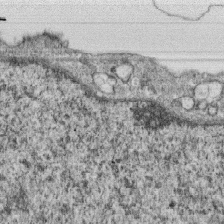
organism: African green monkey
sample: Vero E6 cells infected with SARS-CoV-2